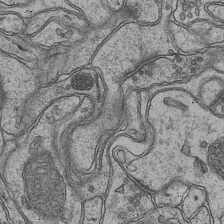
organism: Mouse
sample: CA1 Hippocampus